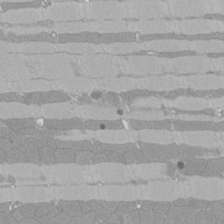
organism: Rat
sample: Left ventricle